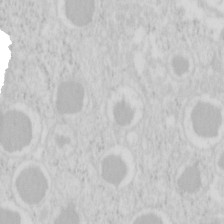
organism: Mouse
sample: Pancreas